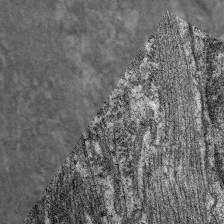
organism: C. elegans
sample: Pharynx